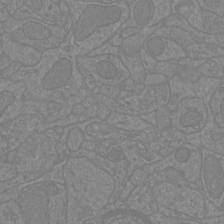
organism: Mouse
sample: Cortical neurons